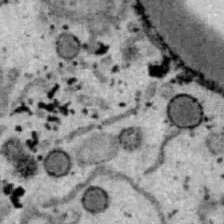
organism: Mouse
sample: Liver from an obese (ob/ob) mouse